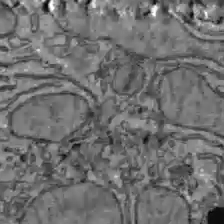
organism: C57BL Mouse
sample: Liver